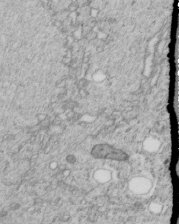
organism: C. elegans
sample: C. elegans embryo early stage